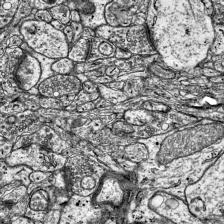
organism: Mouse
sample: Visual Cortex